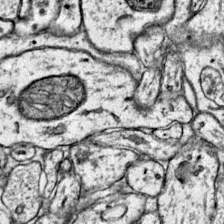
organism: Mouse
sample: Primary visual cortex